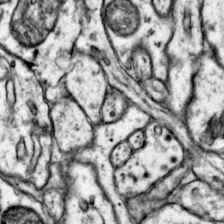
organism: Mouse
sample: Primary visual cortex